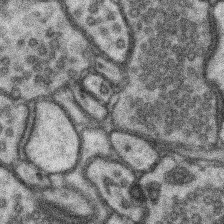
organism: Mouse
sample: Somatosensory cortex neuropil